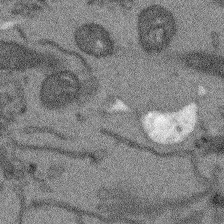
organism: Arabidopsis thaliana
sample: Root tip